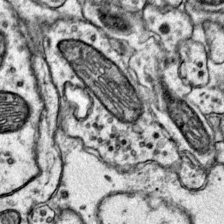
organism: Mouse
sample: Primary visual cortex